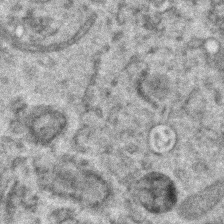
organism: Zebrafish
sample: Zebrafish embryo